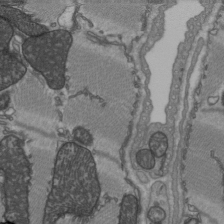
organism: C57BL Mouse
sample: Heart